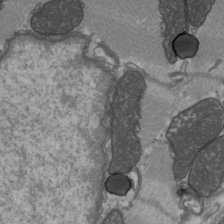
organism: C57BL Mouse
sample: Heart